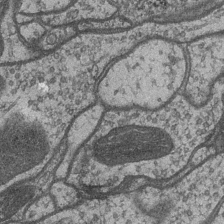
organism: Drosophila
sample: Optic medulla